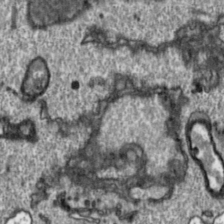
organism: Toxoplasma gondii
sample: Parasites in a vacuole inside a host cell